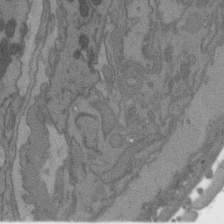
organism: C. elegans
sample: AFD neurons C. elegans